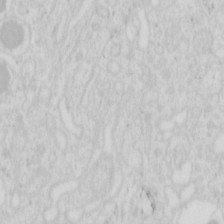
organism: Mouse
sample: Pancreas